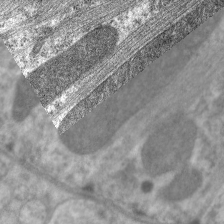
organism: C. elegans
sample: Pharynx